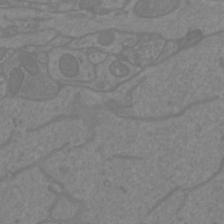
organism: Mouse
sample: Cortical neurons